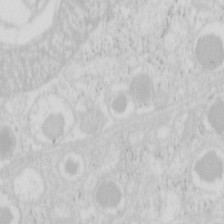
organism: Mouse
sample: Pancreas